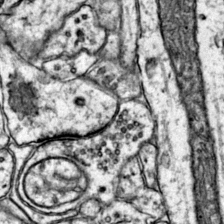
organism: Mouse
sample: Primary visual cortex